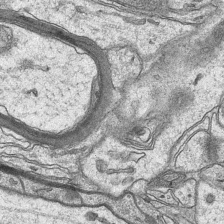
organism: Mouse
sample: CA1 Hippocampus